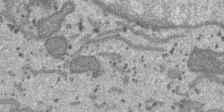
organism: Human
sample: Lung epithelial cells infected with SARS-CoV-2